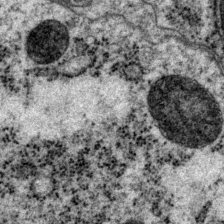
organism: P. pacificus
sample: Pharynx